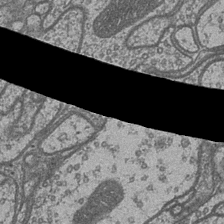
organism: Drosophila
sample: Optic medulla